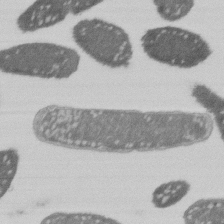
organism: E. coli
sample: Bacterial nucleoid